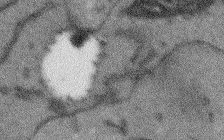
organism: Arabidopsis thaliana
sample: Root tip